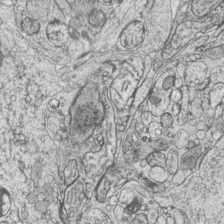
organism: Zebrafish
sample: synaptic ribbons in rod cells and cone cells